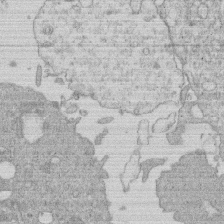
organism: Human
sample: Macrophage cells